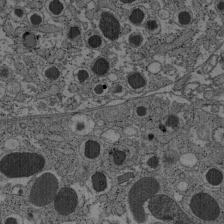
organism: C57BL Mouse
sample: Pancreatic islet